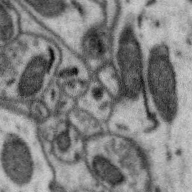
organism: Zebra finch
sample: Brain